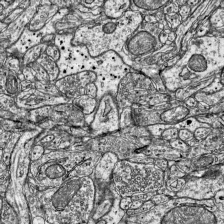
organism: Mouse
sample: Visual Cortex